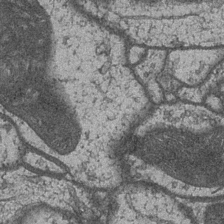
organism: Drosophila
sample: Optic medulla